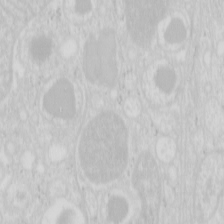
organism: Mouse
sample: Pancreas